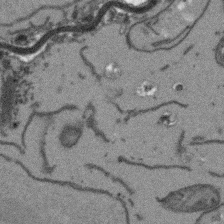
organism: Arabidopsis thaliana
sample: Root tip